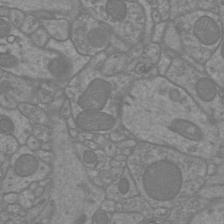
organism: Mouse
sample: Cortical neurons